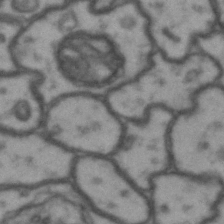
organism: Drosophila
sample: Brain